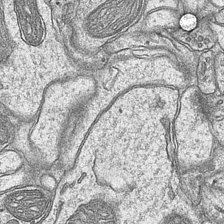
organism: Mouse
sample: CA1 Hippocampus